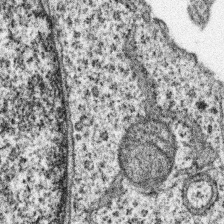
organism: Human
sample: HeLa cells